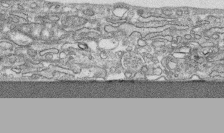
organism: Human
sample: CRL-1474